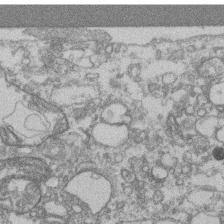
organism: Mouse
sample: T cell stromal cell synapse